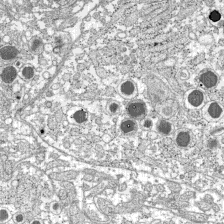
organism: C57BL Mouse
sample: Pancreatic islet